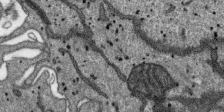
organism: Human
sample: Lung epithelial cells, uninfected (mock) control